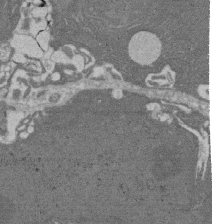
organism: Rat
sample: Salivary granule